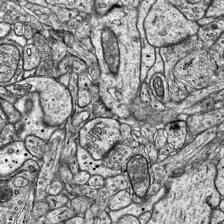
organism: Mouse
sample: Visual Cortex